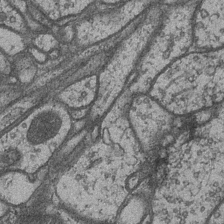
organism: Drosophila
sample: Optic medulla